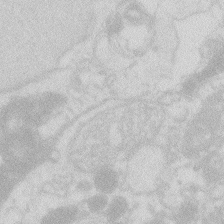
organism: Zebrafish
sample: Macrophage